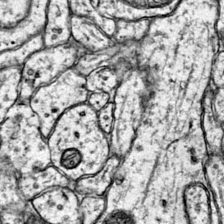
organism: Mouse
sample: Primary visual cortex